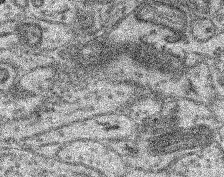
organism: Mouse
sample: Retina